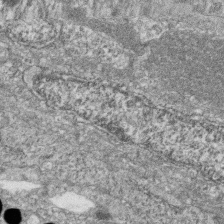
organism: Zebrafish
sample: Cilia; retinal pigment epithelium